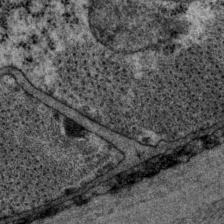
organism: P. pacificus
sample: Pharynx